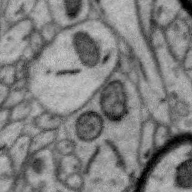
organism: Zebra finch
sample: Brain